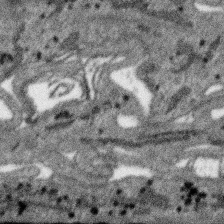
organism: Human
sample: Lung epithelial cells infected with SARS-CoV-2